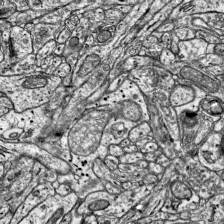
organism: Mouse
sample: Visual Cortex